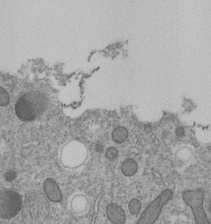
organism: C. elegans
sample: C. elegans embryo early stage